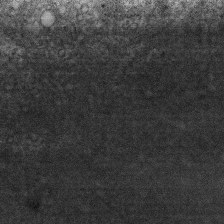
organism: Mouse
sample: Centriole in ependymal cells